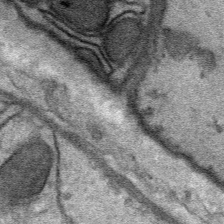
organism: Mouse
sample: Mouse Salivary gland